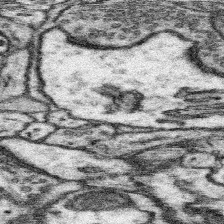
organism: Mouse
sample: Somatosensory cortex neuropil